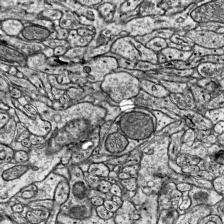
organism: Mouse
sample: Visual Cortex